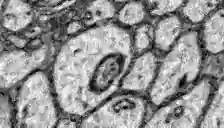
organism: Zebrafish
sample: Brain